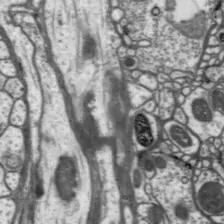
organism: Drosophila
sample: Protocerebral bridge